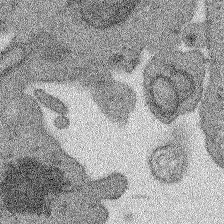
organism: Human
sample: HeLa cells